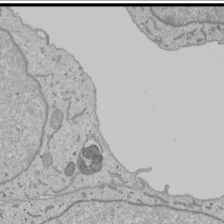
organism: Human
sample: Mitochondria in U2OS cells